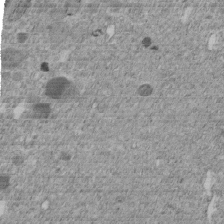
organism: C. elegans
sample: C. elegans embryo early stage